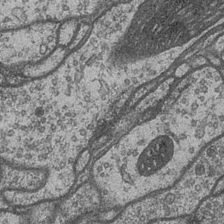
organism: Drosophila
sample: Optic medulla